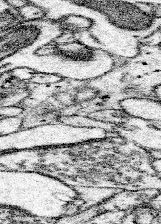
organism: Mouse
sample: Somatosensory cortex neuropil